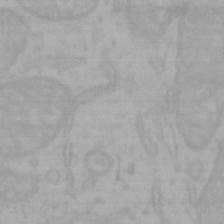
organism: Mouse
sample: Choroid plexus